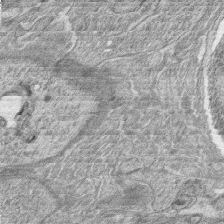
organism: Zebrafish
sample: synaptic ribbons in rod cells and cone cells